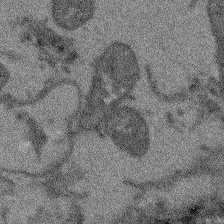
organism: Arabidopsis thaliana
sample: Root tip